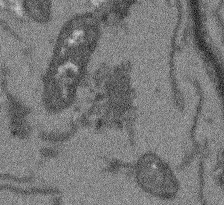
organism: Arabidopsis thaliana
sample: Root tip